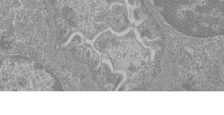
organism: Mouse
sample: Glomerulus